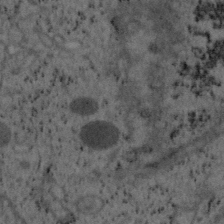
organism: Human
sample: HeLa cells